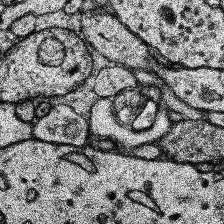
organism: Human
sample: Temporal Lobe